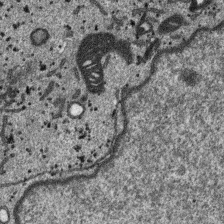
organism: Human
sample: Lung epithelial cells infected with SARS-CoV-2